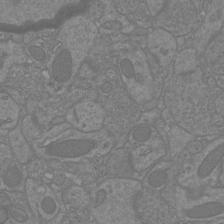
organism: Mouse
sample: Cortical neurons